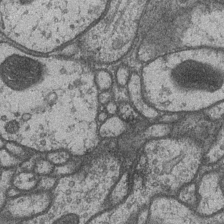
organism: Drosophila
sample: Optic medulla